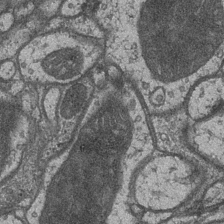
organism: Drosophila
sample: Optic medulla